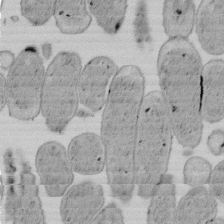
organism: E. coli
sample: Bacterial nucleoid